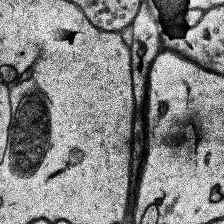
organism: Human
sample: Temporal Lobe